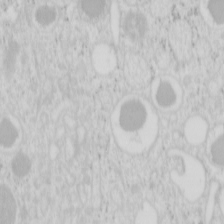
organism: Mouse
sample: Pancreas